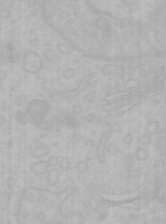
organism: Mouse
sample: Choroid plexus